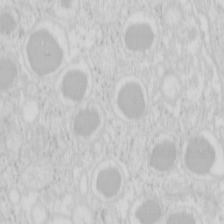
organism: Mouse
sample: Pancreas